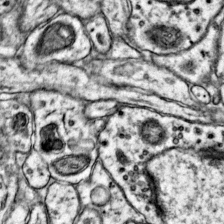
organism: Mouse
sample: Primary visual cortex